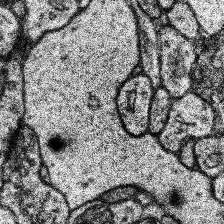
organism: Human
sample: Temporal Lobe